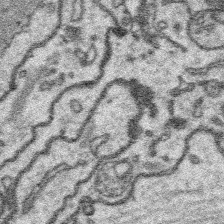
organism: Platynereis dumerilii